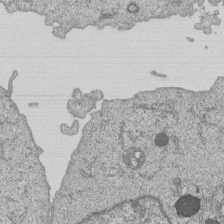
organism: Human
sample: MDA-MB-231 cells